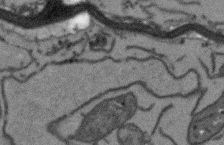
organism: Arabidopsis thaliana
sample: Root tip